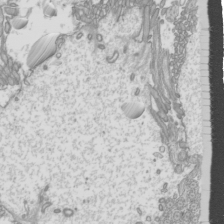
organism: Mouse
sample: Cilia; mouse epididymis